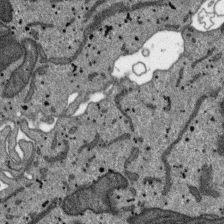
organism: Human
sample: Lung epithelial cells, uninfected (mock) control